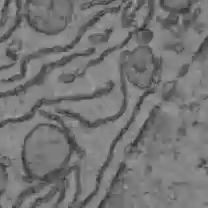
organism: C57BL Mouse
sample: Liver